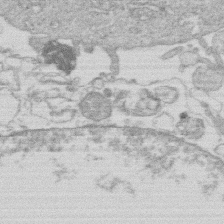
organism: Human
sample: Macrophage cells